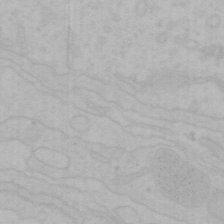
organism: Mouse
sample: Choroid plexus